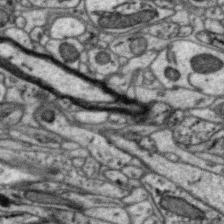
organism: Zebra finch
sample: Brain